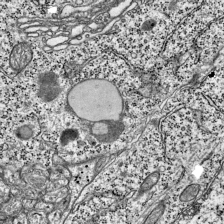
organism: Mouse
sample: Visual Cortex